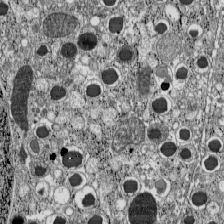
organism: C57BL Mouse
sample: Pancreatic islet